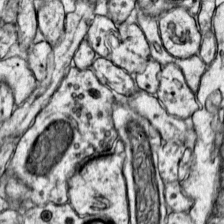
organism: Mouse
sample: Primary visual cortex